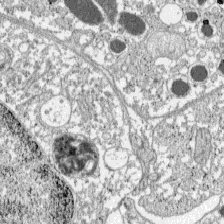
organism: C57BL Mouse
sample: Pancreatic islet